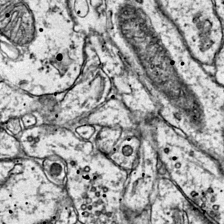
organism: Mouse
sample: Primary visual cortex